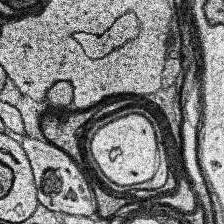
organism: Human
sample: Temporal Lobe